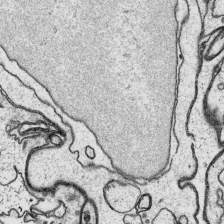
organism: Platynereis dumerilii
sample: Parapodia